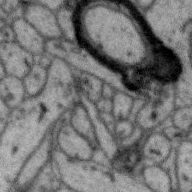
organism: Zebra finch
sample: Brain